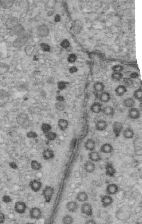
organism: Mouse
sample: Multiciliated cells